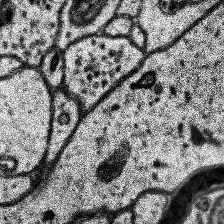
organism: Human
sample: Temporal Lobe